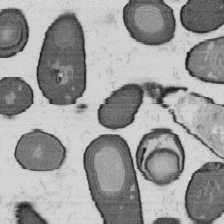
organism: B. subtilis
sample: Bacterial spore